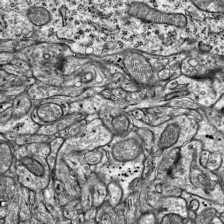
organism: Mouse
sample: Visual Cortex